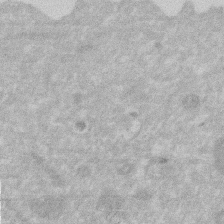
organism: Human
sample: HIV infected U937 cells